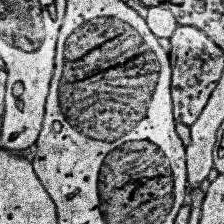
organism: Human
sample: Temporal Lobe